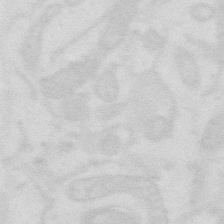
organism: Human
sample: HeLa cells